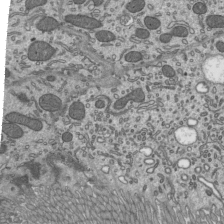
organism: Mouse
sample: Mouse epididymis efferent ductule cilia